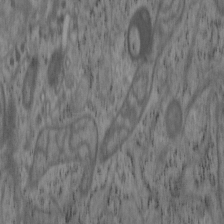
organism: Human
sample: HeLa cells